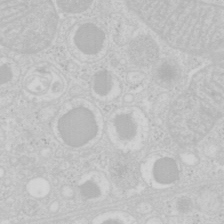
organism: Mouse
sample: Pancreas